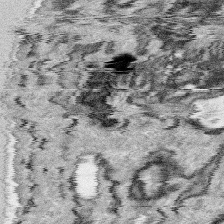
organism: Human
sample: HeLa cells